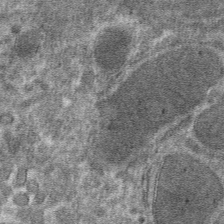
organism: Mouse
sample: Mouse hepatocytes